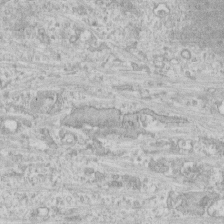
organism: Human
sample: CRL-1474